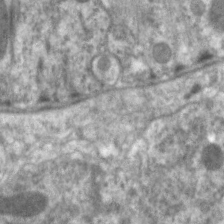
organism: C. elegans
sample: Pharynx